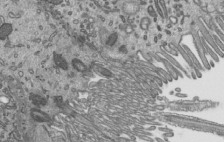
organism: Mouse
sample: Mouse epididymis efferent ductule cilia